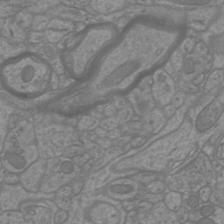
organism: Mouse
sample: Cortical neurons